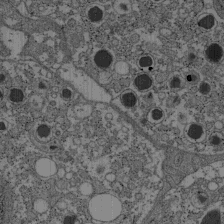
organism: C57BL Mouse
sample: Pancreatic islet